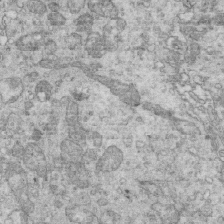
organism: Mouse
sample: Multiciliated cells